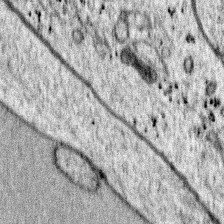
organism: Human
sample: HeLa cells